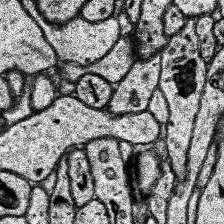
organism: Human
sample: Temporal Lobe